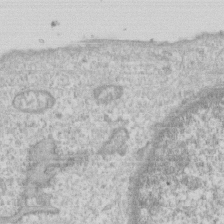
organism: Human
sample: CRL-1474